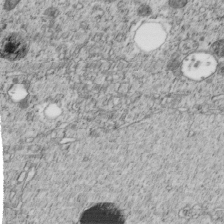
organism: C. elegans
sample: C. elegans embryo early stage